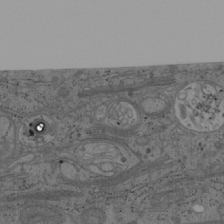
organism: Human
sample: HeLa cells